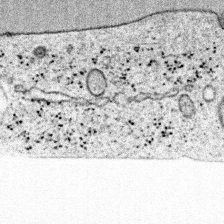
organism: Human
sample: HeLa cells